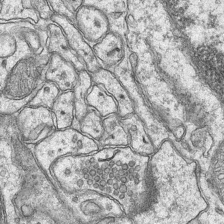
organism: Mouse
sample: CA1 Hippocampus